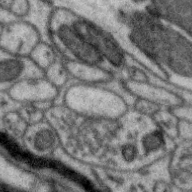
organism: Zebra finch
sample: Brain